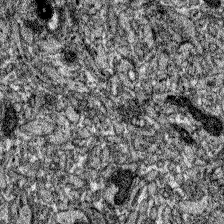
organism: Zebrafish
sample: Larval olfactory bulb